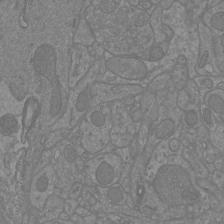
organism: Mouse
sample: Cortical neurons